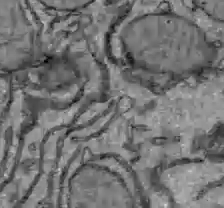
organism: C57BL Mouse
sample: Liver